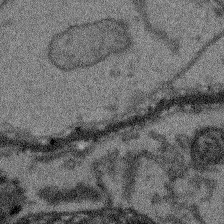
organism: Arabidopsis thaliana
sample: Root tip